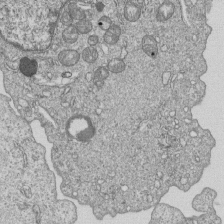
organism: Human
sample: MDA-MB-231 cells